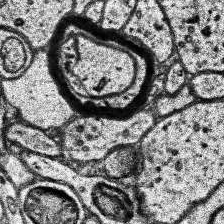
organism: Human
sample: Temporal Lobe